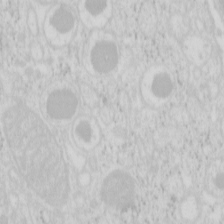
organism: Mouse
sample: Pancreas